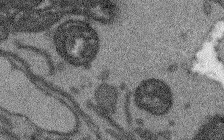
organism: Arabidopsis thaliana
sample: Root tip